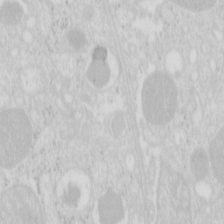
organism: Mouse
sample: Pancreas